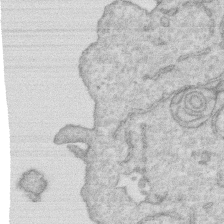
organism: Human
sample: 1205lu cells